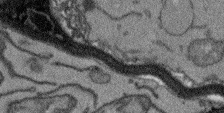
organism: Arabidopsis thaliana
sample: Root tip